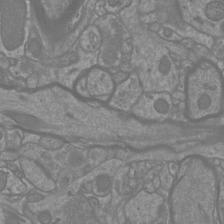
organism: Mouse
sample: Cortical neurons